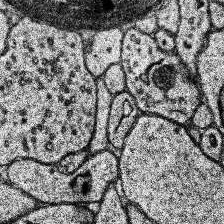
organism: Human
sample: Temporal Lobe